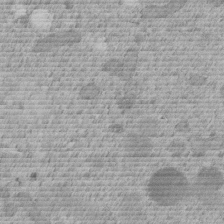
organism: C. elegans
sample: C. elegans embryo early stage